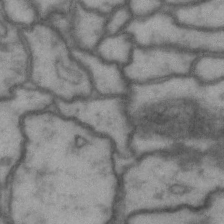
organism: Drosophila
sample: Brain